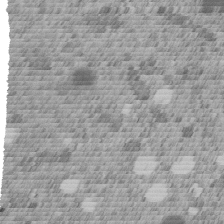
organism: C. elegans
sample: C. elegans embryo early stage